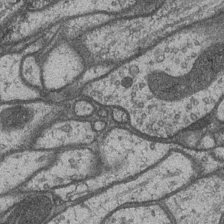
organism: Drosophila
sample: Optic medulla